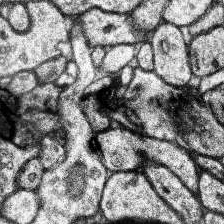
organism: Human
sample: Temporal Lobe